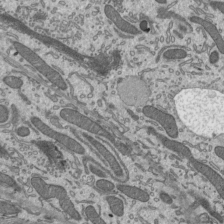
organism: Mouse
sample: Mouse epididymis efferent ductule cilia